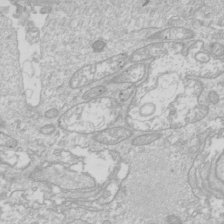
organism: Drosophila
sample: Cell division; meiosis; drosophila spermatocytes